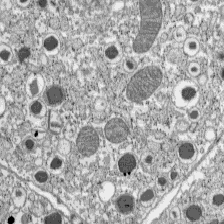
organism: C57BL Mouse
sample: Pancreatic islet